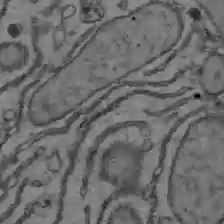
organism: C57BL Mouse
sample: Liver